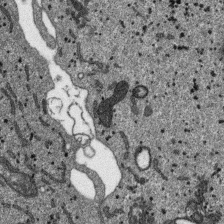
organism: Human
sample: Lung epithelial cells infected with SARS-CoV-2